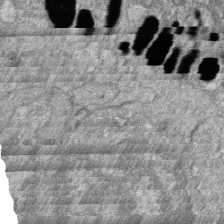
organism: Zebrafish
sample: Cilia; retinal pigment epithelium